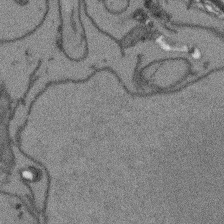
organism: Arabidopsis thaliana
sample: Root tip